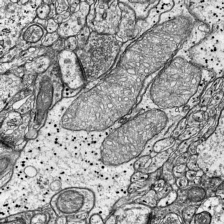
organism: Mouse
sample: Visual Cortex